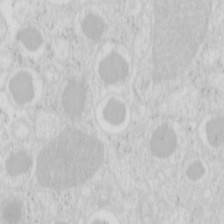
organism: Mouse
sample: Pancreas